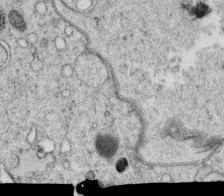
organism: C. elegans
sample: C. elegans oocyte; sperm cells